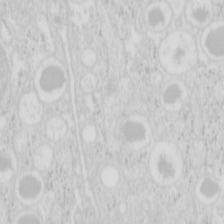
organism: Mouse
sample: Pancreas